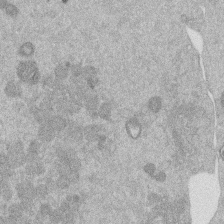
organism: Mouse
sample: Dividing mouse embryo 1 cell stage